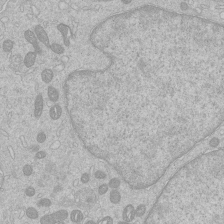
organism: Human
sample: Macrophage cells